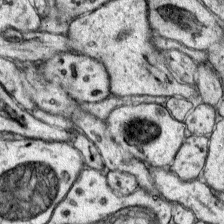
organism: Mouse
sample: Primary visual cortex